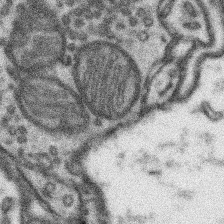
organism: Mouse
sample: Somatosensory cortex neuropil